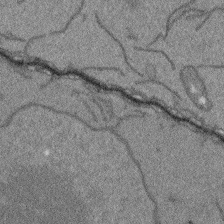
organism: Arabidopsis thaliana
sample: Root tip